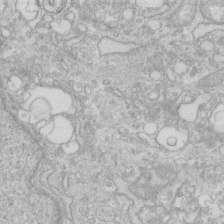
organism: Human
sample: Fibroblast cells